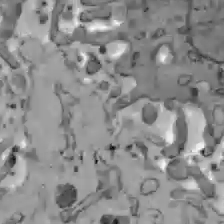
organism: C57BL Mouse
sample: Liver